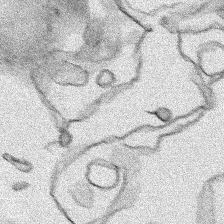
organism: Human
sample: Mitochondria in HCT116 cells